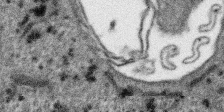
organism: Human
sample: Lung epithelial cells infected with SARS-CoV-2